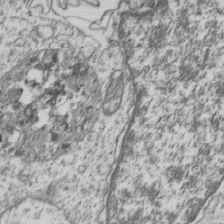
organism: Human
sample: MDA-MB-231 cells